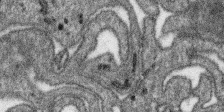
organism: Human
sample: Lung epithelial cells infected with SARS-CoV-2